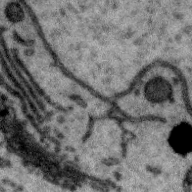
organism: Zebra finch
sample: Brain